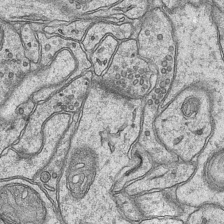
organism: Mouse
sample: CA1 Hippocampus